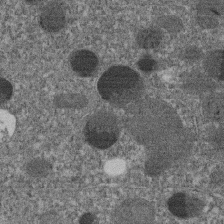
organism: C. elegans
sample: C. elegans embryo early stage